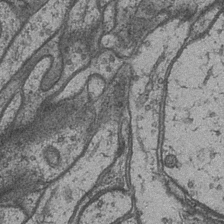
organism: Drosophila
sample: Optic medulla